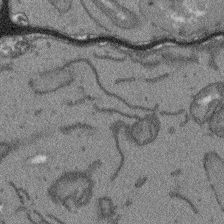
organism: Arabidopsis thaliana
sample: Root tip